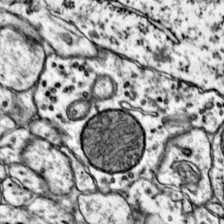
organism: Mouse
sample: Primary visual cortex